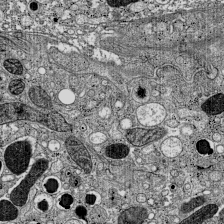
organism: C57BL Mouse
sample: Pancreatic islet